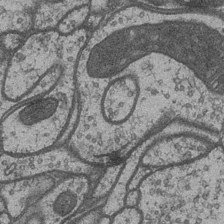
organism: Drosophila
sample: Optic medulla